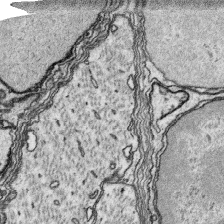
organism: Platynereis dumerilii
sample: Parapodia